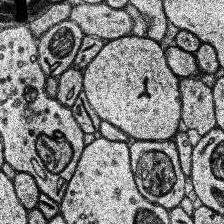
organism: Human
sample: Temporal Lobe